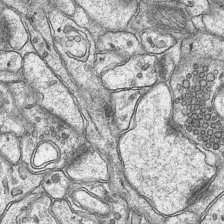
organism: Mouse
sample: CA1 Hippocampus